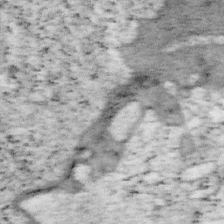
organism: Mouse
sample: OT-I killer T cells with ID8 ovarian cancer cells